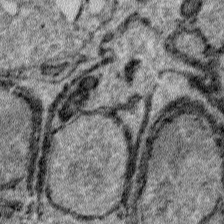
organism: Plasmodium falciparum